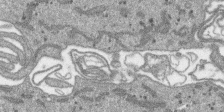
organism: Human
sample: Lung epithelial cells infected with SARS-CoV-2